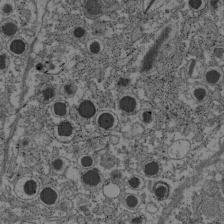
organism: C57BL Mouse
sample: Pancreatic islet